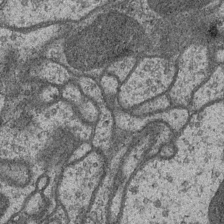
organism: Drosophila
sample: Optic medulla